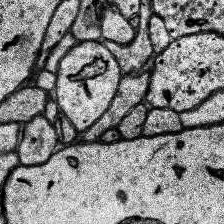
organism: Human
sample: Temporal Lobe